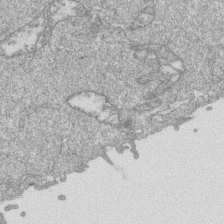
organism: Human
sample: HeLa cell HIV synapse